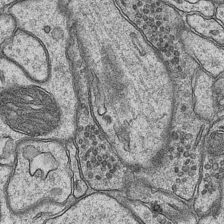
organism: Mouse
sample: CA1 Hippocampus